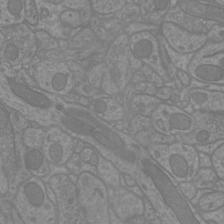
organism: Mouse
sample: Cortical neurons